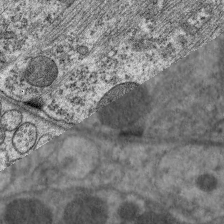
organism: C. elegans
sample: Pharynx